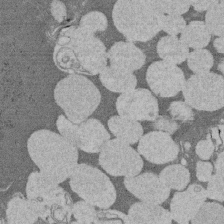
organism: Rat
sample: Salivary granule